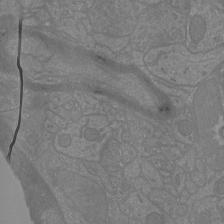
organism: Mouse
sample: Cortical neurons